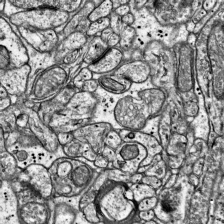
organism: Mouse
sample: Visual Cortex